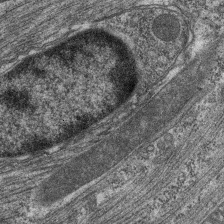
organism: C. elegans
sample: Pharynx